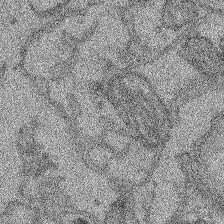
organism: Human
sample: HeLa cells